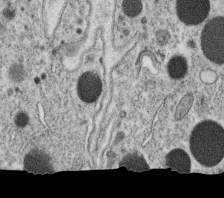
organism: C. elegans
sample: C. elegans oocyte; sperm cells